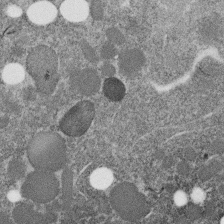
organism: C. elegans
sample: C. elegans embryo early stage